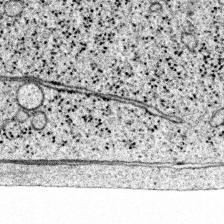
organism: Human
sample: HeLa cells